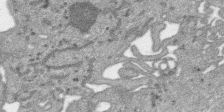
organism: Human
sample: Lung epithelial cells infected with SARS-CoV-2